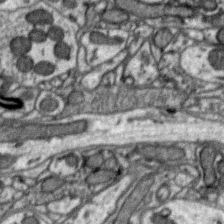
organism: Zebra finch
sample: Brain